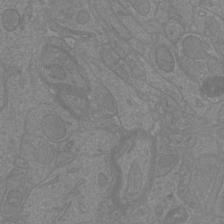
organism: Mouse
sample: Cortical neurons